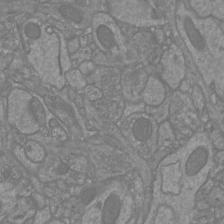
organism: Mouse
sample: Cortical neurons